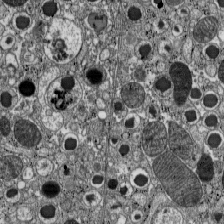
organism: C57BL Mouse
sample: Pancreatic islet